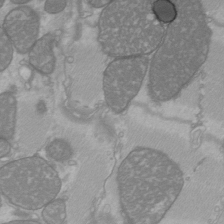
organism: C57BL Mouse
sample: Heart